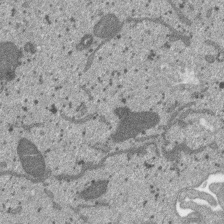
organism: Human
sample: Lung epithelial cells infected with SARS-CoV-2